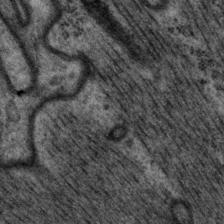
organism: P. pacificus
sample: Pharynx